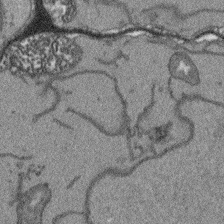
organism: Arabidopsis thaliana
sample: Root tip